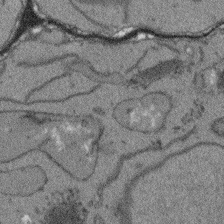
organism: Arabidopsis thaliana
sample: Root tip